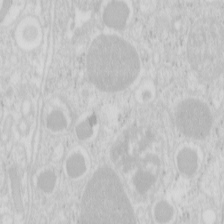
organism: Mouse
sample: Pancreas